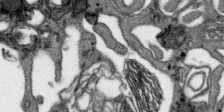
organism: Human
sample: Lung epithelial cells, uninfected (mock) control